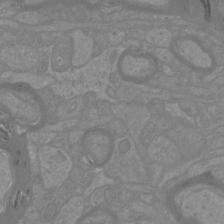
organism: Mouse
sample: Cortical neurons